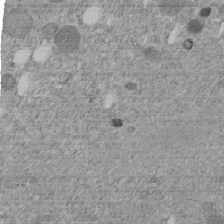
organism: C. elegans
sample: C. elegans embryo early stage